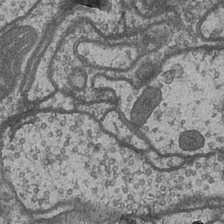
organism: Drosophila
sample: Optic medulla